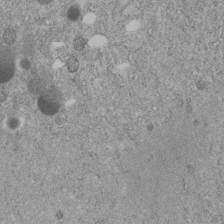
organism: C. elegans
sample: C. elegans embryo early stage